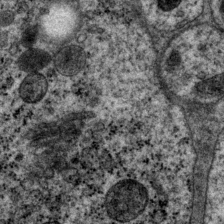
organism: P. pacificus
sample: Pharynx